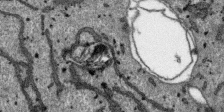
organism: Human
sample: Lung epithelial cells, uninfected (mock) control